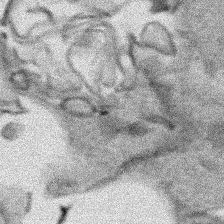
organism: Human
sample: Mitochondria in HCT116 cells